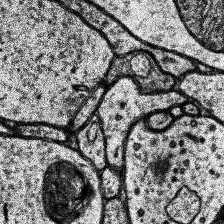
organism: Human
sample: Temporal Lobe